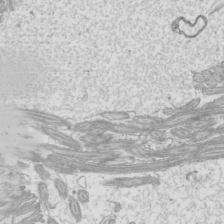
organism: Mouse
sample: Cilia; mouse epididymis